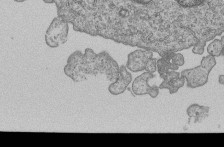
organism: Human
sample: MDA-MB-231 cells